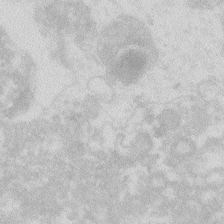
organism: Zebrafish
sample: Macrophage